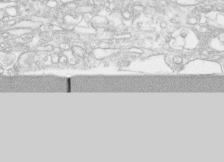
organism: Human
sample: CRL-1474